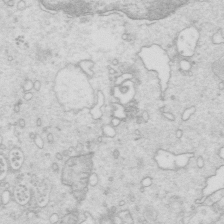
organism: Mouse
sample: Multiciliated cells